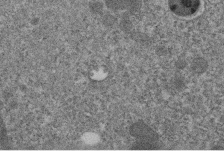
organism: C. elegans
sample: C. elegans embryo early stage